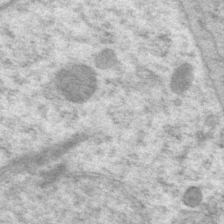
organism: P. pacificus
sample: Pharynx